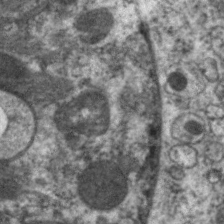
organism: C. elegans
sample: Pharynx